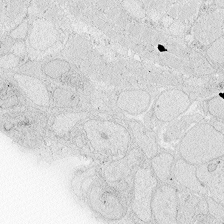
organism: Zebrafish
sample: Whole-Brain